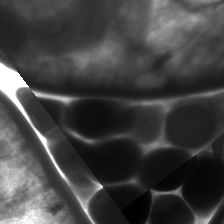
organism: C. elegans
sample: Pharynx